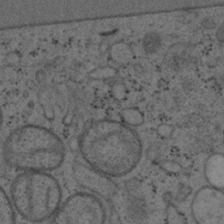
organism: Human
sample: HeLa cells